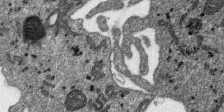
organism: Human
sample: Lung epithelial cells infected with SARS-CoV-2